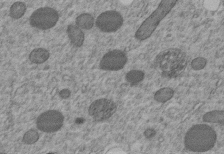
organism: C. elegans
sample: C. elegans embryo early stage